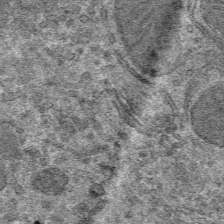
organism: Mouse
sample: Mouse hepatocytes